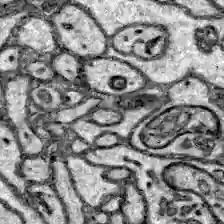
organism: Zebrafish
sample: Brain